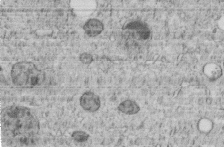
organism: C. elegans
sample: C. elegans embryo early stage